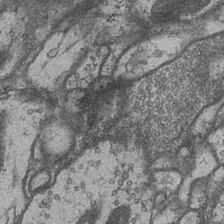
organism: Drosophila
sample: Optic medulla